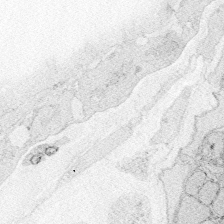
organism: Zebrafish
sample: Whole-Brain